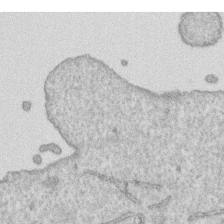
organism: Human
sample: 1205lu cells